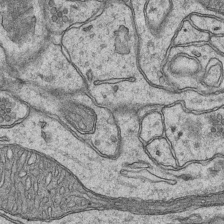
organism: Mouse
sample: CA1 Hippocampus